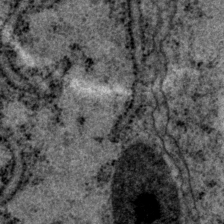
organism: P. pacificus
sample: Pharynx